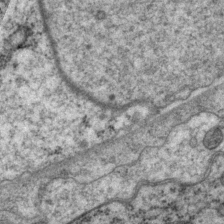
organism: P. pacificus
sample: Pharynx